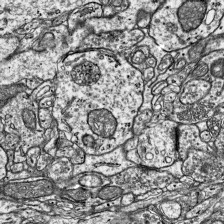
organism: Mouse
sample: Visual Cortex